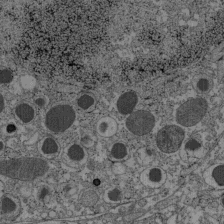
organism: C57BL Mouse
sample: Pancreatic islet